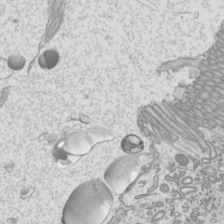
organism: Mouse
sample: Cilia; mouse epididymis